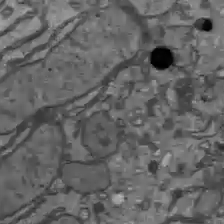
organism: C57BL Mouse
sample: Liver